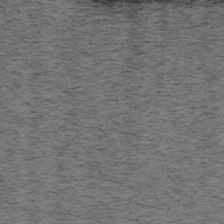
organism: Mouse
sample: OT-I killer T cells with ID8 ovarian cancer cells